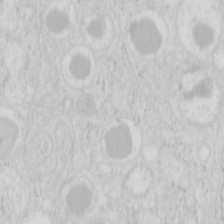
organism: Mouse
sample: Pancreas